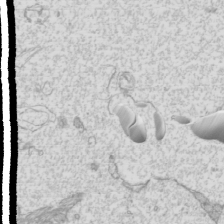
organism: Mouse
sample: Cilia; mouse epididymis